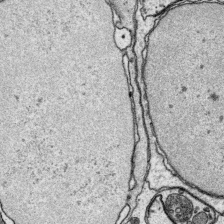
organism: Platynereis dumerilii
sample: Parapodia